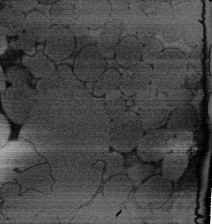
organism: Rat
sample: Salivary granule